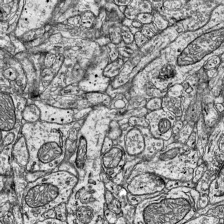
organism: Mouse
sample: Visual Cortex